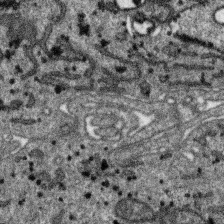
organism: Human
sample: Lung epithelial cells infected with SARS-CoV-2